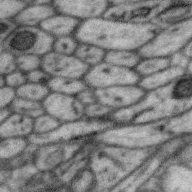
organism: Zebra finch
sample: Brain